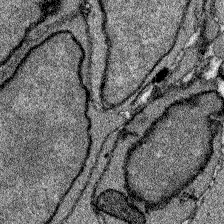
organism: Zebrafish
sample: Larval olfactory bulb